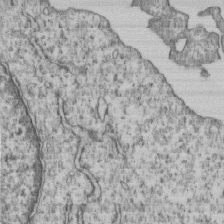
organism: Human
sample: MDA-MB-231 cells